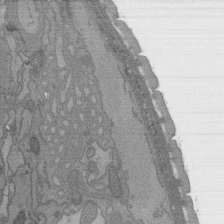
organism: C. elegans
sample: AFD neurons C. elegans